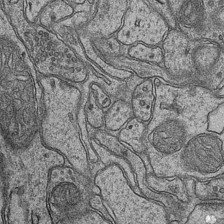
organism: Mouse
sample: CA1 Hippocampus